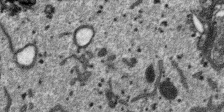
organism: Human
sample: Lung epithelial cells infected with SARS-CoV-2